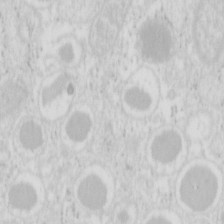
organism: Mouse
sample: Pancreas